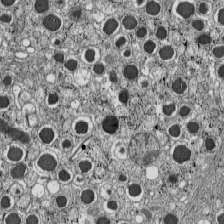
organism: C57BL Mouse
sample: Pancreatic islet